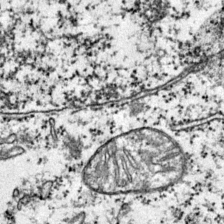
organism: Mouse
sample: Primary visual cortex